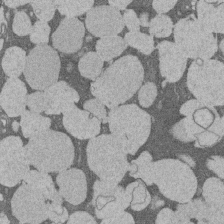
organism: Rat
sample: Salivary granule